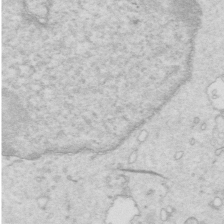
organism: Mouse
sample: Multiciliated cells